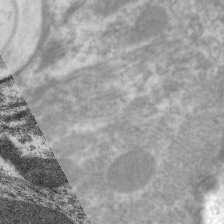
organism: C. elegans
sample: Pharynx